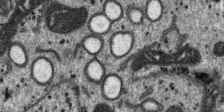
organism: Human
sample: Lung epithelial cells infected with SARS-CoV-2